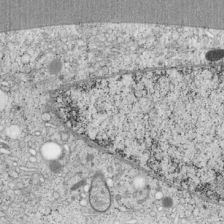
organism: African green monkey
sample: COS-7 cells